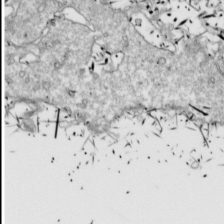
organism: Drosophila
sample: Cell division; meiosis; drosophila spermatocytes